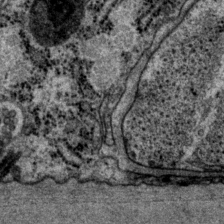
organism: P. pacificus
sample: Pharynx